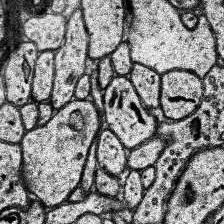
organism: Human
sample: Temporal Lobe